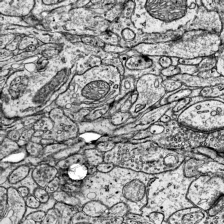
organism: Mouse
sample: Visual Cortex